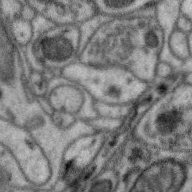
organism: Zebra finch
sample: Brain